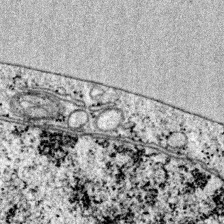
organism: Human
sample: HeLa cells